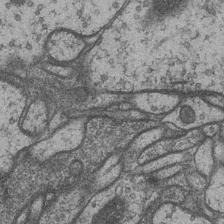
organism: Drosophila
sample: Optic medulla